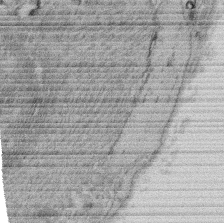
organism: Rat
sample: Salivary granule